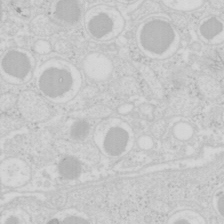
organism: Mouse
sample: Pancreas